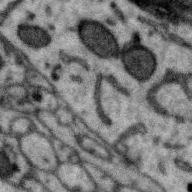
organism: Zebra finch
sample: Brain